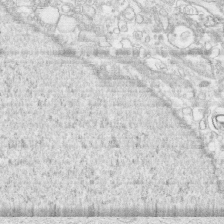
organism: Human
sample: CRL-1474